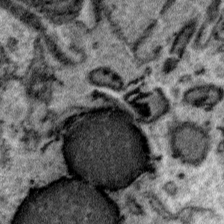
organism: Plasmodium falciparum